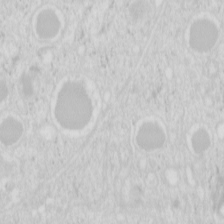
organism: Mouse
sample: Pancreas